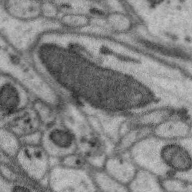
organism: Zebra finch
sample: Brain